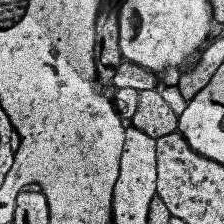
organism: Human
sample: Temporal Lobe